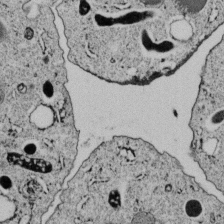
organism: C. elegans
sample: C. elegans embryo early stage